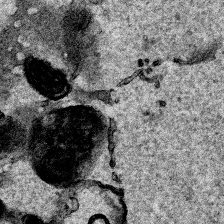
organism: Human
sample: Mitochondria in HCT116 cells